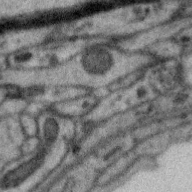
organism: Zebra finch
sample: Brain